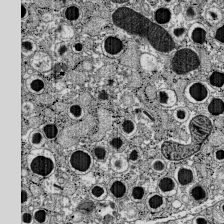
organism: C57BL Mouse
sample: Pancreatic islet